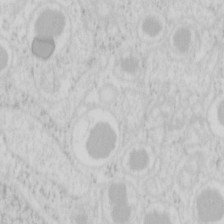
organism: Mouse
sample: Pancreas